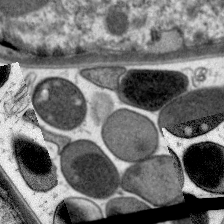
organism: C. elegans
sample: Pharynx